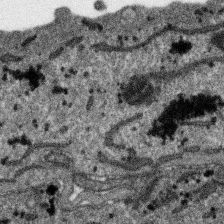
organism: Human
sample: Lung epithelial cells infected with SARS-CoV-2